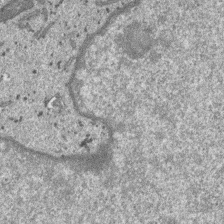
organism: Human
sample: Lung epithelial cells infected with SARS-CoV-2